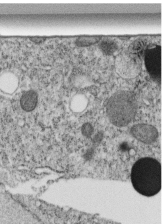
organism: C. elegans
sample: C. elegans embryo early stage